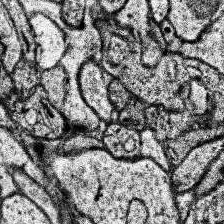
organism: Human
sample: Temporal Lobe